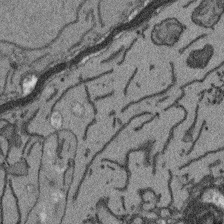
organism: Arabidopsis thaliana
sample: Root tip